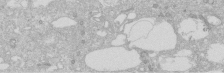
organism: Human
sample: Caco-2 cells